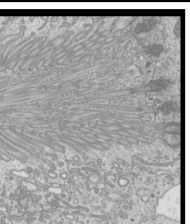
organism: Mouse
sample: Cilia; mouse epididymis